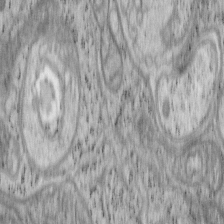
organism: Human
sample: HeLa cells